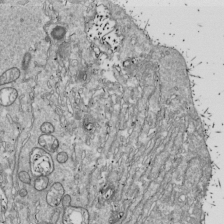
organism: Drosophila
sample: Cell division; meiosis; drosophila spermatocytes